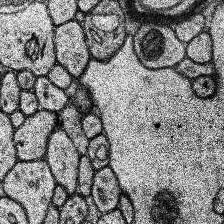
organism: Human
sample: Temporal Lobe